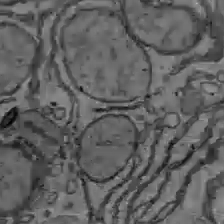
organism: C57BL Mouse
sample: Liver